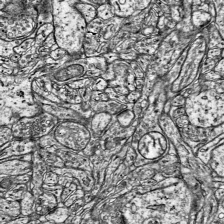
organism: Mouse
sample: Visual Cortex